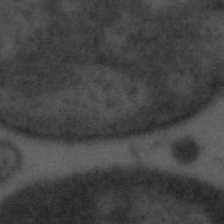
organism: Tuwongella immobilis